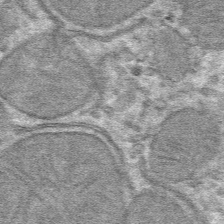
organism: Mouse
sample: Mouse hepatocytes